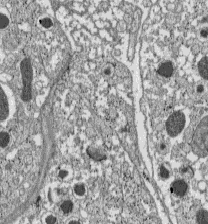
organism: C57BL Mouse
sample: Pancreatic islet